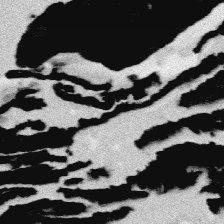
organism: Platynereis dumerilii